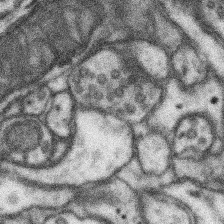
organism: Mouse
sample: Somatosensory cortex neuropil